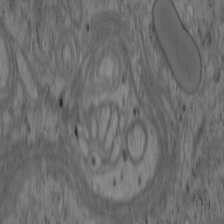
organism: Human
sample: HeLa cells